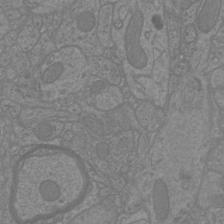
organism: Mouse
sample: Cortical neurons